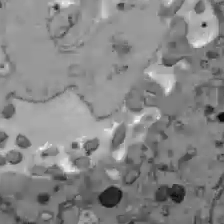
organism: C57BL Mouse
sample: Liver